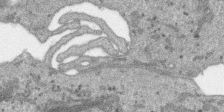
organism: Human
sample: Lung epithelial cells infected with SARS-CoV-2